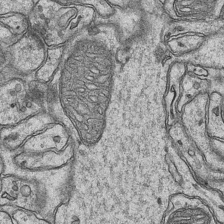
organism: Mouse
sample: CA1 Hippocampus